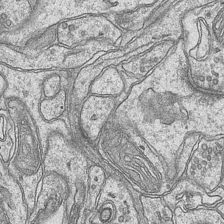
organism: Mouse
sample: CA1 Hippocampus